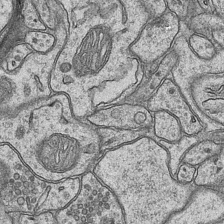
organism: Mouse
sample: CA1 Hippocampus